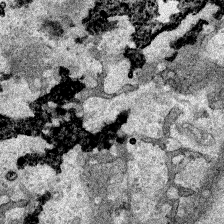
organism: Human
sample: Mitochondria in HCT116 cells